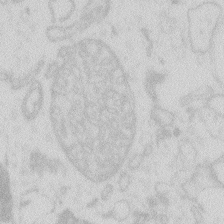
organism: Zebrafish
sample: Macrophage